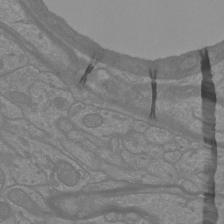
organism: Mouse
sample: Cortical neurons